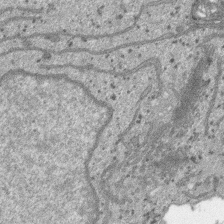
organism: Human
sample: Lung epithelial cells infected with SARS-CoV-2